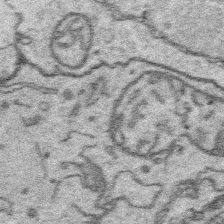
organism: Platynereis dumerilii